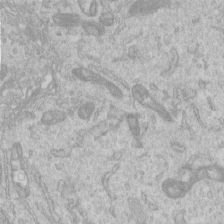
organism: Human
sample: Centriole in RPE cells